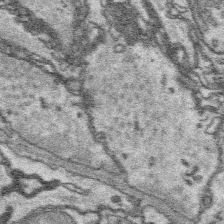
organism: Platynereis dumerilii